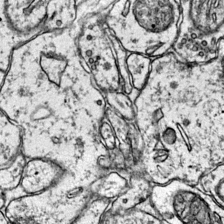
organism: Mouse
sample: Primary visual cortex